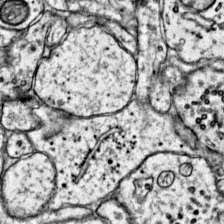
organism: Mouse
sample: Primary visual cortex